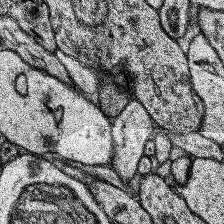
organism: Human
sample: Temporal Lobe